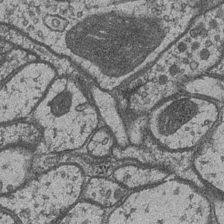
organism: Drosophila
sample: Optic medulla